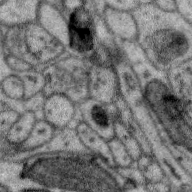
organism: Zebra finch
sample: Brain